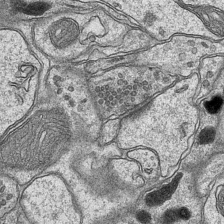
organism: Mouse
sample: CA1 Hippocampus